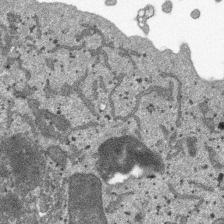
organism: Human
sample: Lung epithelial cells infected with SARS-CoV-2